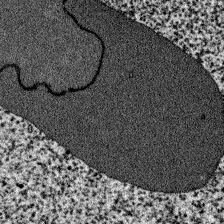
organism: Zebrafish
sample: Larval olfactory bulb